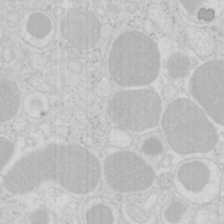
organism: Mouse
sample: Pancreas